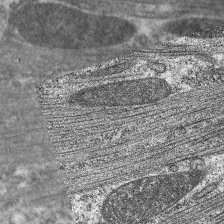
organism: C. elegans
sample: Pharynx